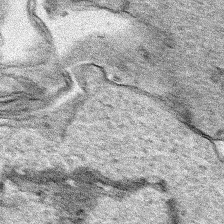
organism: Human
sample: Mitochondria in HCT116 cells